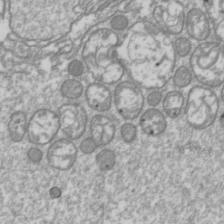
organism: Drosophila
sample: Cell division; meiosis; drosophila spermatocytes